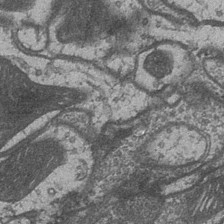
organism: Drosophila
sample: Optic medulla